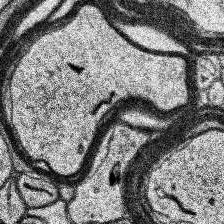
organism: Human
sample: Temporal Lobe